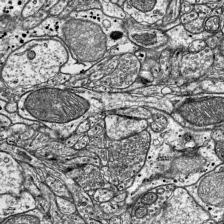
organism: Mouse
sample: Visual Cortex